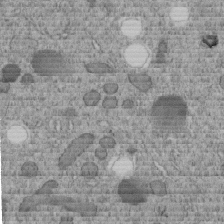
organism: C. elegans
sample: C. elegans embryo early stage